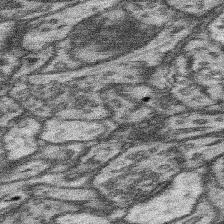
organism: Mouse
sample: Somatosensory cortex neuropil